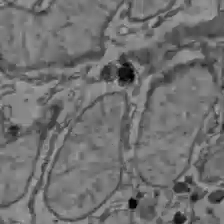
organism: C57BL Mouse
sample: Liver